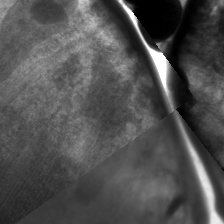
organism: C. elegans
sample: Pharynx